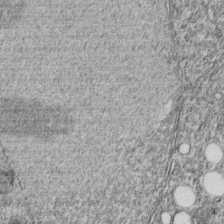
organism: C. elegans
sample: C. elegans embryo early stage